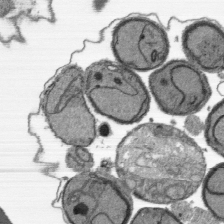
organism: Plasmodium falciparum